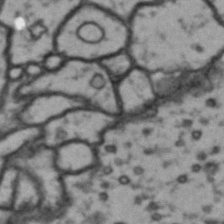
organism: Drosophila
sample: Brain